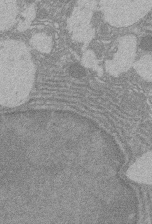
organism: Rat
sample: Salivary granule